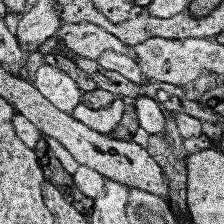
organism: Human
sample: Temporal Lobe